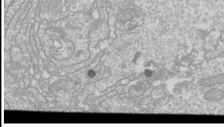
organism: Drosophila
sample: Cell division; meiosis; drosophila spermatocytes